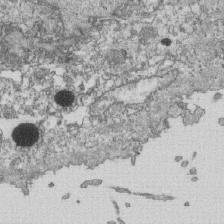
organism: Human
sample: HeLa cell HIV synapse